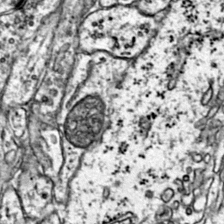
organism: Mouse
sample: Primary visual cortex